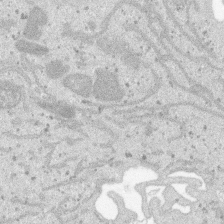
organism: Human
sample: Lung epithelial cells infected with SARS-CoV-2